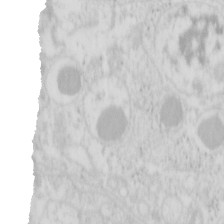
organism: Mouse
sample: Pancreas